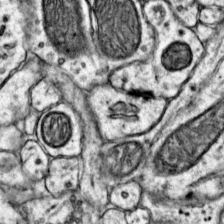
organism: Mouse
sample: Primary visual cortex